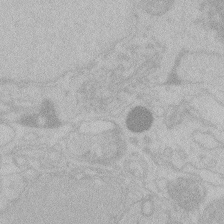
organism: Zebrafish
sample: Macrophage infected with Toxoplasma gondii